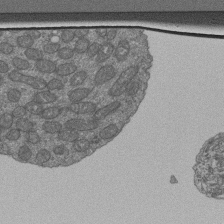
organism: Human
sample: Retinal organoid Rod and Cone cells